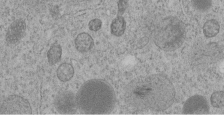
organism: C. elegans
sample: C. elegans embryo early stage